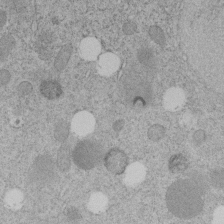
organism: C. elegans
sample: C. elegans embryo early stage